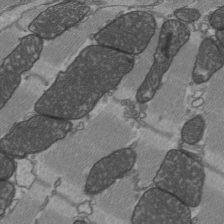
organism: C57BL Mouse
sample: Heart